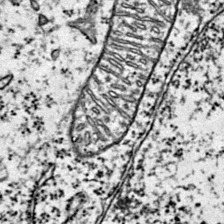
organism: Mouse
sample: Primary visual cortex